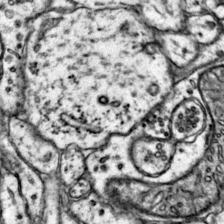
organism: Mouse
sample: Primary visual cortex